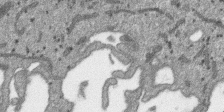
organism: Human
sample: Lung epithelial cells infected with SARS-CoV-2